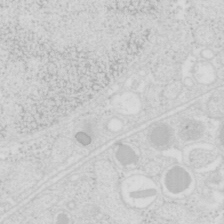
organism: Mouse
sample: Pancreas